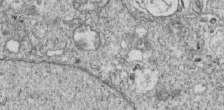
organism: Human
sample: HeLa cell HIV synapse